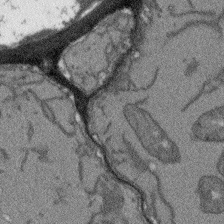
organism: Arabidopsis thaliana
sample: Root tip